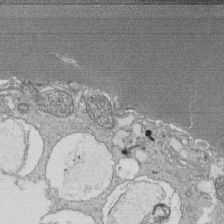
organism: Tetrahymena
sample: Cilia in tetrahymena